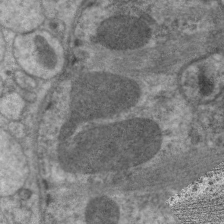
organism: C. elegans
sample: Pharynx